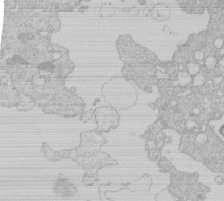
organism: Human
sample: Macrophage cells